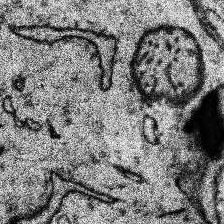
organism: Human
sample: Temporal Lobe